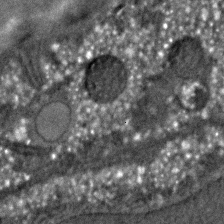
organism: C. elegans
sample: C. elegans embryo